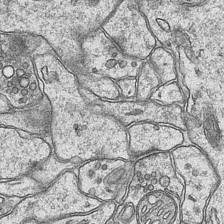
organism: Mouse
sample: CA1 Hippocampus